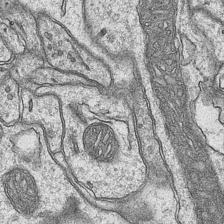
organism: Mouse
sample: CA1 Hippocampus